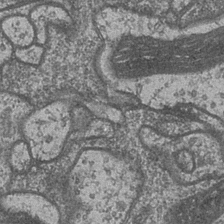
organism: Drosophila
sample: Optic medulla